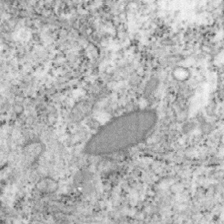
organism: Mouse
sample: OT-I killer T cells with ID8 ovarian cancer cells